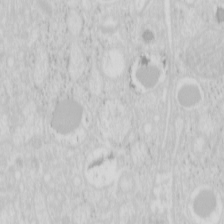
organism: Mouse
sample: Pancreas